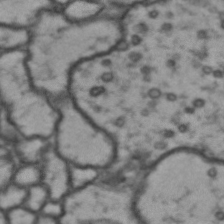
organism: Drosophila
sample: Brain